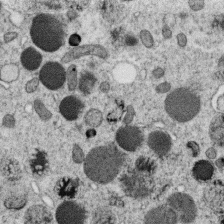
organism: C. elegans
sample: C. elegans oocyte; sperm cells